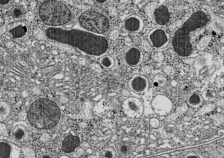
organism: C57BL Mouse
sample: Pancreatic islet